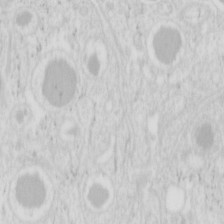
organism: Mouse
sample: Pancreas